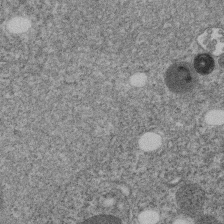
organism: C. elegans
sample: C. elegans embryo early stage